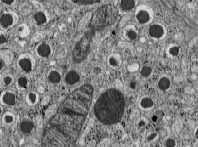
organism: C57BL Mouse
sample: Pancreatic islet